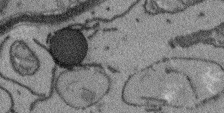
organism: Arabidopsis thaliana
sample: Root tip